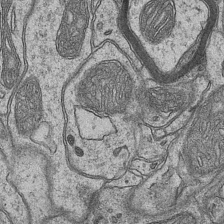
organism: Mouse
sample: CA1 Hippocampus